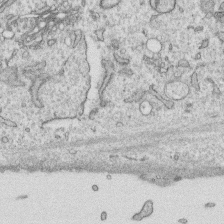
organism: Human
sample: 1205lu cells